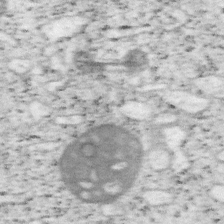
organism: Mouse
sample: OT-I killer T cells with ID8 ovarian cancer cells